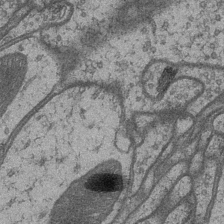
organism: Drosophila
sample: Optic medulla